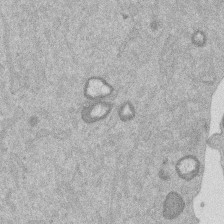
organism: Mouse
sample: Dividing mouse embryo 1 cell stage